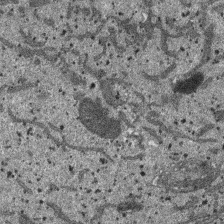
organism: Human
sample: Lung epithelial cells infected with SARS-CoV-2